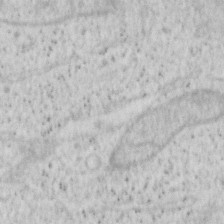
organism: Human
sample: HeLa cells